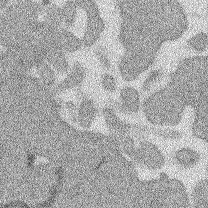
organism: Human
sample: HeLa cells